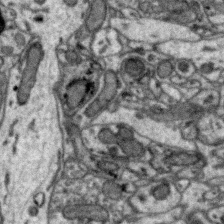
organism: Zebra finch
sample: Brain